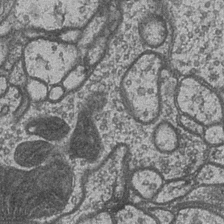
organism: Drosophila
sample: Optic medulla